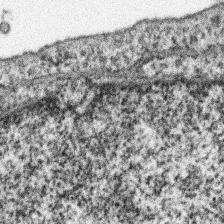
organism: Human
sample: HeLa cells